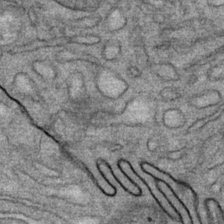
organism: Mouse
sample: Mouse Salivary gland